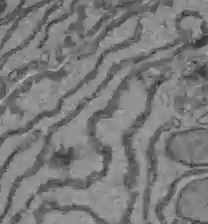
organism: C57BL Mouse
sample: Liver